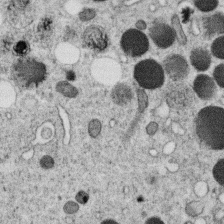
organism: C. elegans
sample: C. elegans oocyte; sperm cells